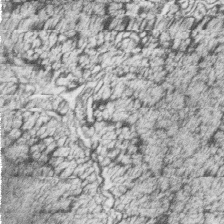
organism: Zebrafish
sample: synaptic ribbons in rod cells and cone cells